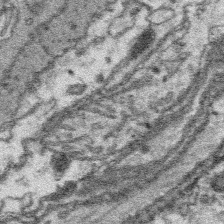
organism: Platynereis dumerilii